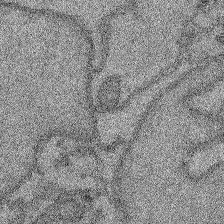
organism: Human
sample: HeLa cells